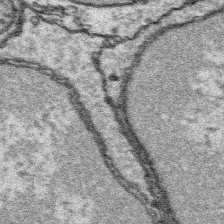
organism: Platynereis dumerilii